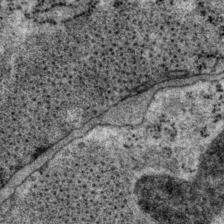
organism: P. pacificus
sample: Pharynx